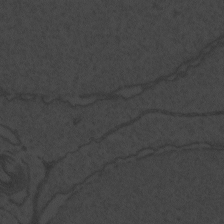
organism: Zebrafish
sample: Macrophage infected with Toxoplasma gondii